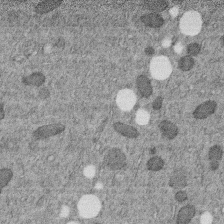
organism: C. elegans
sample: C. elegans embryo early stage